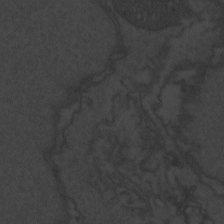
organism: Zebrafish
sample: Macrophage infected with Toxoplasma gondii